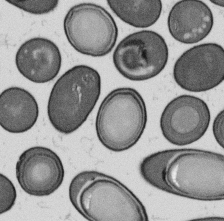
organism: B. subtilis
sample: Bacterial spore